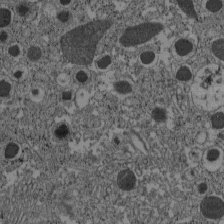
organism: C57BL Mouse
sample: Pancreatic islet